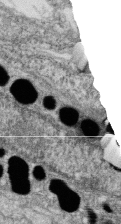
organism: Zebrafish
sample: Cilia; retinal pigment epithelium